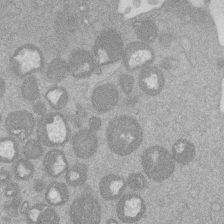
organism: Mouse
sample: Dividing mouse embryo 1 cell stage